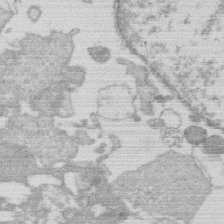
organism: Human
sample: Macrophage cells